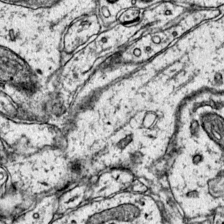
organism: Mouse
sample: Primary visual cortex